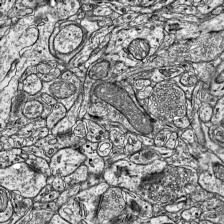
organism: Mouse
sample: Visual Cortex